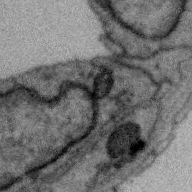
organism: Zebra finch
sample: Brain